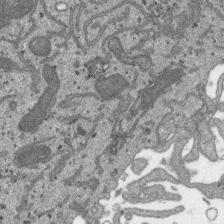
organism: Human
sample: Lung epithelial cells infected with SARS-CoV-2